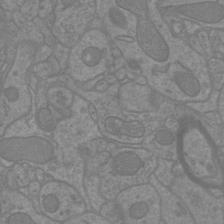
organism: Mouse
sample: Cortical neurons